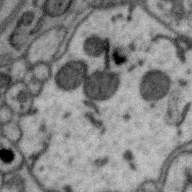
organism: Zebra finch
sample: Brain